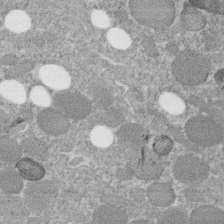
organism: C. elegans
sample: C. elegans embryo early stage